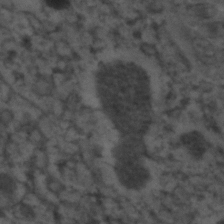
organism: C. elegans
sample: C. elegans embryo